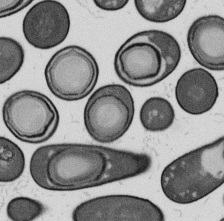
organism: B. subtilis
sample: Bacterial spore